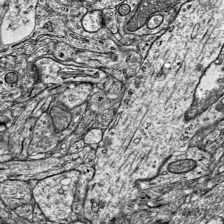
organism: Mouse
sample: Visual Cortex